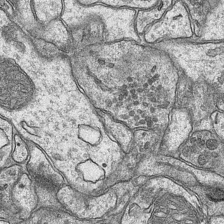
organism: Mouse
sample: CA1 Hippocampus